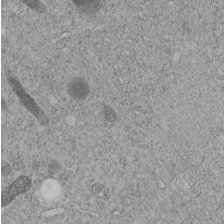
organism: C. elegans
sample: C. elegans embryo early stage